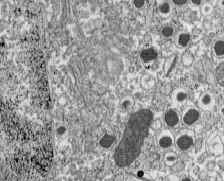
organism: C57BL Mouse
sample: Pancreatic islet